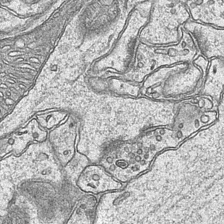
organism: Mouse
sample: CA1 Hippocampus